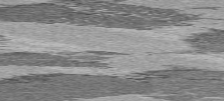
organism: C57BL Mouse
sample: Heart